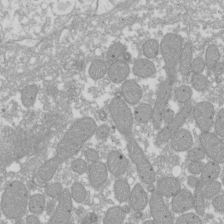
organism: Xenopus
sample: Cilia; centrioles in frog embryo cells